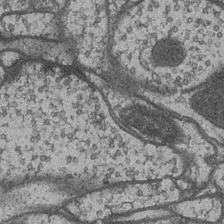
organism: Drosophila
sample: Optic medulla